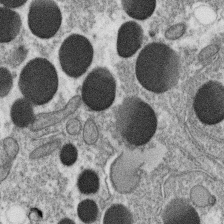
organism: C. elegans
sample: C. elegans oocyte; sperm cells